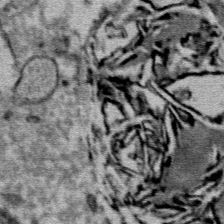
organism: Mouse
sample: Mouse Salivary gland